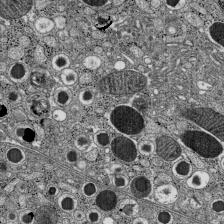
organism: C57BL Mouse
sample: Pancreatic islet